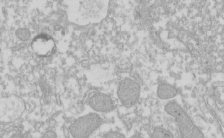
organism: Xenopus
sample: Cilia; centrioles in frog embryo cells